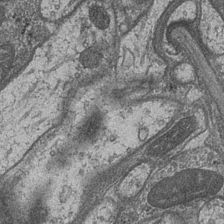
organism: Drosophila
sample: Optic medulla